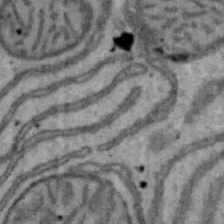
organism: Mouse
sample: Liver